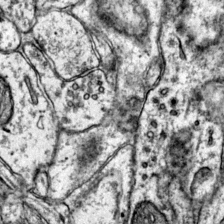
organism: Mouse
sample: Primary visual cortex